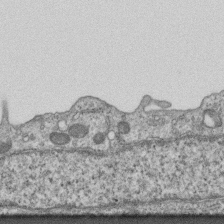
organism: Mouse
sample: Centriole in ependymal cells